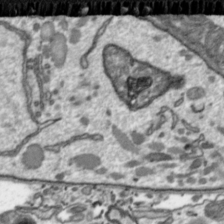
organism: Toxoplasma gondii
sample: Parasites in a vacuole inside a host cell